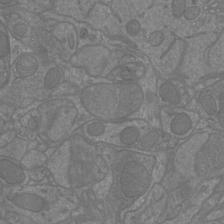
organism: Mouse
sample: Cortical neurons